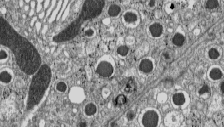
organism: C57BL Mouse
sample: Pancreatic islet